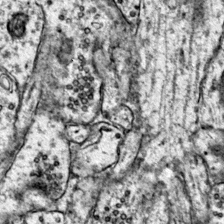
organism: Mouse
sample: Primary visual cortex